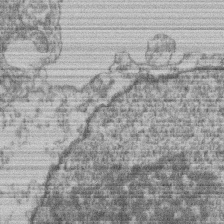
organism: Mouse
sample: T cell stromal cell synapse